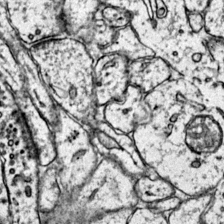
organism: Mouse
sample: Primary visual cortex